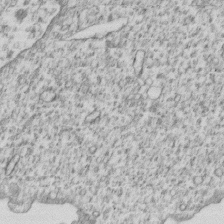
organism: Human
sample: MDA-MB-231 cells